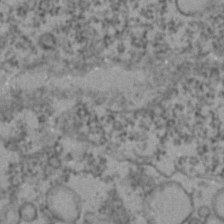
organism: Zebrafish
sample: Zebrafish embryo